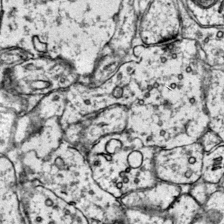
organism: Mouse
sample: Primary visual cortex